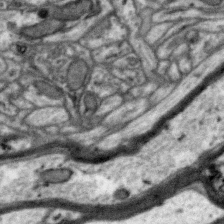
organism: Zebra finch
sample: Brain